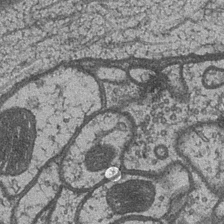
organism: Drosophila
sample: Optic medulla